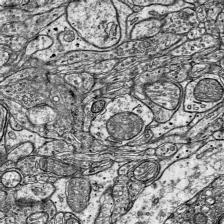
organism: Mouse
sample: Visual Cortex